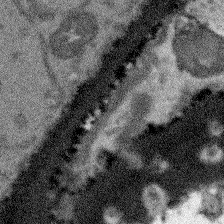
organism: Arabidopsis thaliana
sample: Root tip